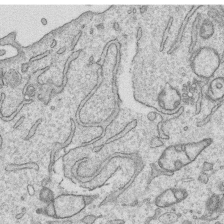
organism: Human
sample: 1205lu cells